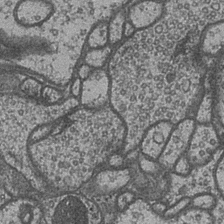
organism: Drosophila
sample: Optic medulla